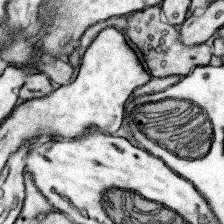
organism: Mouse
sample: Somatosensory cortex neuropil